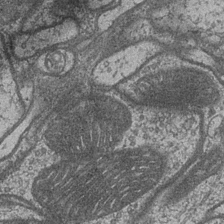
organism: Drosophila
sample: Optic medulla